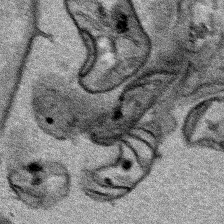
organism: Human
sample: Mitochondria in HCT116 cells